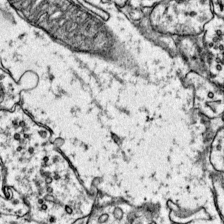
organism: Mouse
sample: Primary visual cortex